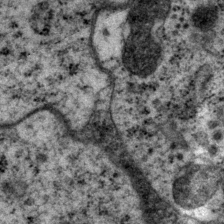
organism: P. pacificus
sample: Pharynx